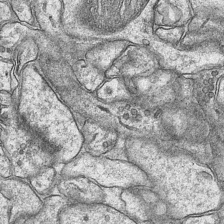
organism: Mouse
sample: CA1 Hippocampus